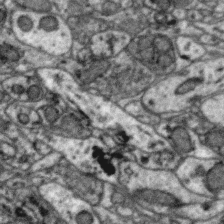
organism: Zebra finch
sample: Brain